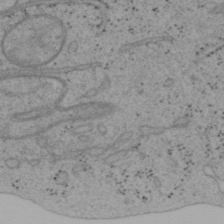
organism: Human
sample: HeLa cells